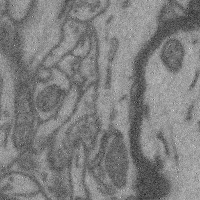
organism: Mouse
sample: Cerebral cortex